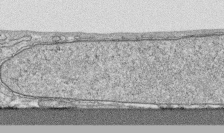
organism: Human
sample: CRL-1474